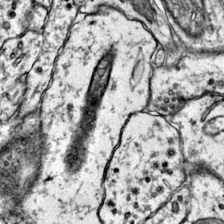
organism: Mouse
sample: Primary visual cortex